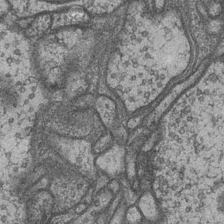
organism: Drosophila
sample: Optic medulla